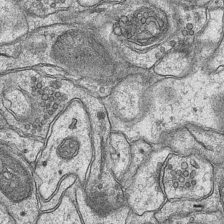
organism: Mouse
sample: CA1 Hippocampus